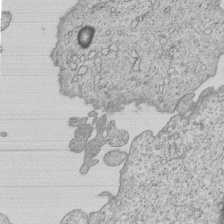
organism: Human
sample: MDA-MB-231 cells